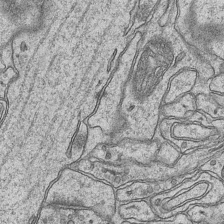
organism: Mouse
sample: CA1 Hippocampus